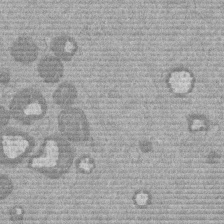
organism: Mouse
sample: Dividing mouse embryo 1 cell stage